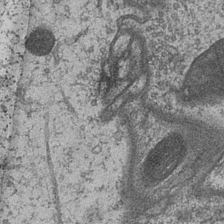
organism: Drosophila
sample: Optic medulla